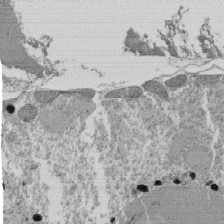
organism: Tetrahymena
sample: Cilia in tetrahymena